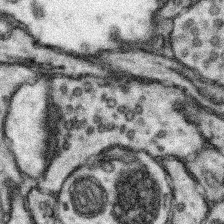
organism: Mouse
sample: Somatosensory cortex neuropil